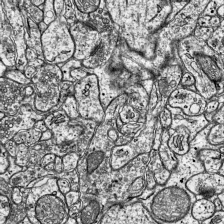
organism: Mouse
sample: Visual Cortex